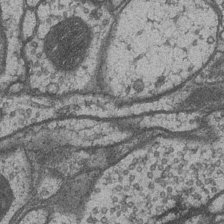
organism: Drosophila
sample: Optic medulla